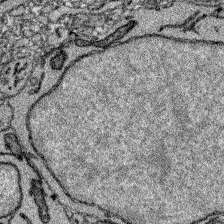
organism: Zebrafish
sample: Larval olfactory bulb